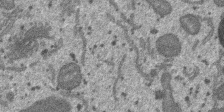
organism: Human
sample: Lung epithelial cells infected with SARS-CoV-2